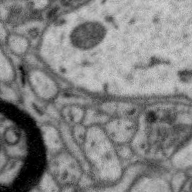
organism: Zebra finch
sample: Brain